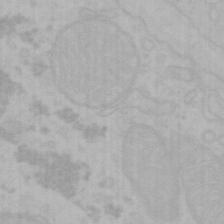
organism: Mouse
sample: Choroid plexus